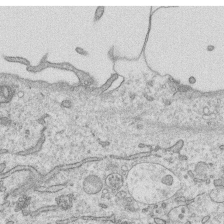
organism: Human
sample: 1205lu cells